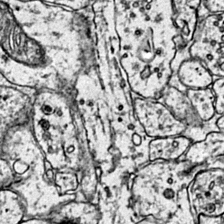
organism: Mouse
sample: Primary visual cortex